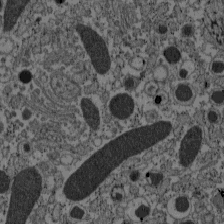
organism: C57BL Mouse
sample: Pancreatic islet